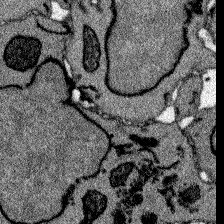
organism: Zebrafish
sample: Larval olfactory bulb